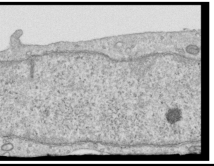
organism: Human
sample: Centriole in RPE cells